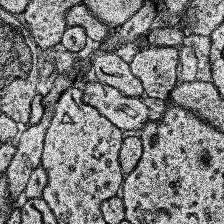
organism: Human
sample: Temporal Lobe